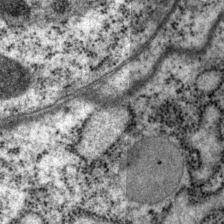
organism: P. pacificus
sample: Pharynx